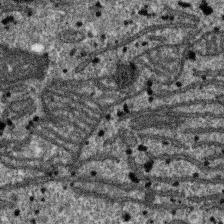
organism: Human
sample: Lung epithelial cells infected with SARS-CoV-2